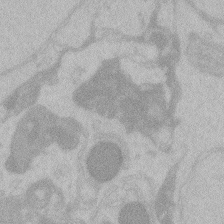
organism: Zebrafish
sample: Macrophage infected with Toxoplasma gondii